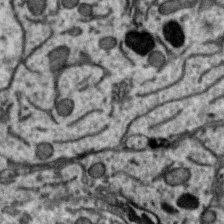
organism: Zebra finch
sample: Brain